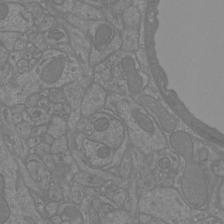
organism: Mouse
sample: Cortical neurons